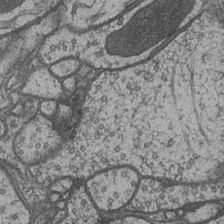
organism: Drosophila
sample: Optic medulla